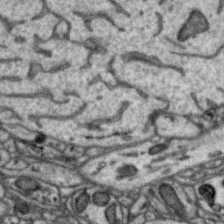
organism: Zebra finch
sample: Brain